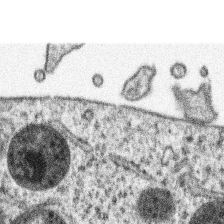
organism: Human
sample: HeLa cells